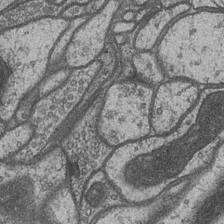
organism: Drosophila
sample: Optic medulla